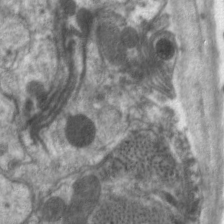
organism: C. elegans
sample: Pharynx